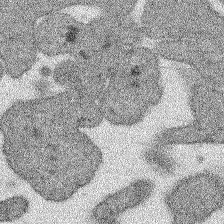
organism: Human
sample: HeLa cells